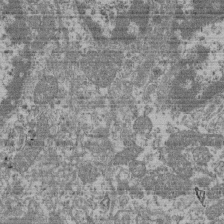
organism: Mouse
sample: Glomerulus